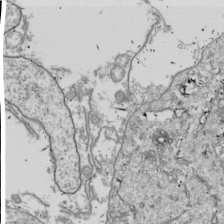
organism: Drosophila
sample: Cell division; meiosis; drosophila spermatocytes